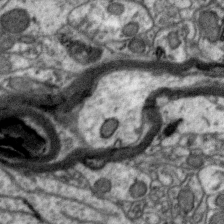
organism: Zebra finch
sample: Brain